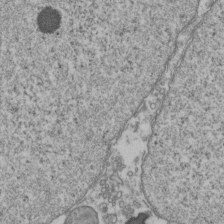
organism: Human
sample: Activated Jurkat CD4+ T cells